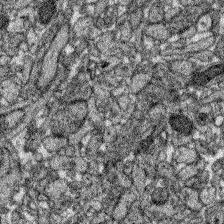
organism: Zebrafish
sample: Larval olfactory bulb